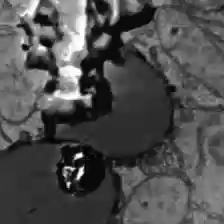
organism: C57BL Mouse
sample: Liver